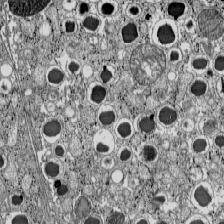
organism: C57BL Mouse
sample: Pancreatic islet